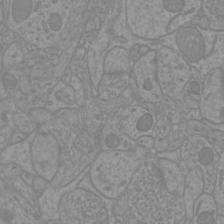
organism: Mouse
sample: Cortical neurons